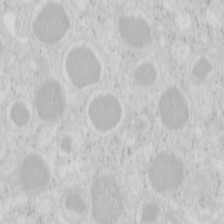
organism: Mouse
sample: Pancreas